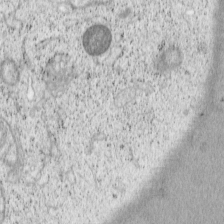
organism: African green monkey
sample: COS-7 cells